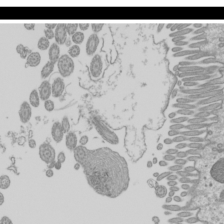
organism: Mouse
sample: Cilia; mouse epididymis